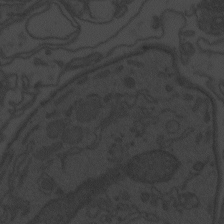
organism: Zebrafish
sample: Macrophage infected with Toxoplasma gondii